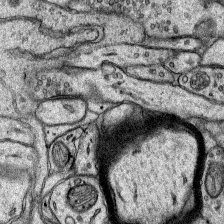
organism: Rat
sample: Hippocampus